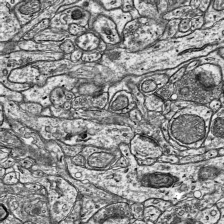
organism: Mouse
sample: Visual Cortex